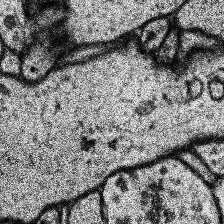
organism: Human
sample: Temporal Lobe